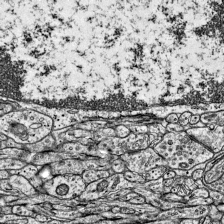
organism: Mouse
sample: Visual Cortex